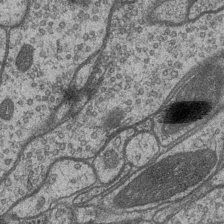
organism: Drosophila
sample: Optic medulla